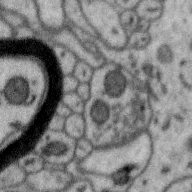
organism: Zebra finch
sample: Brain